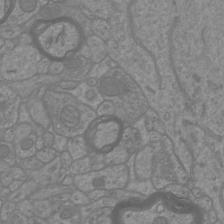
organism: Mouse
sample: Cortical neurons